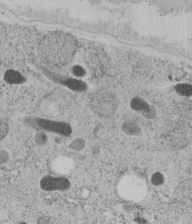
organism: C. elegans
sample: C. elegans embryo early stage